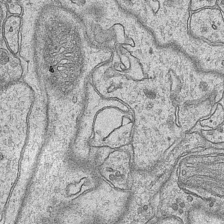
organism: Mouse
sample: CA1 Hippocampus